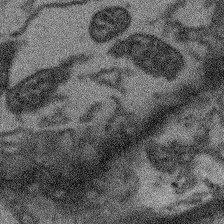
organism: Arabidopsis thaliana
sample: Root tip